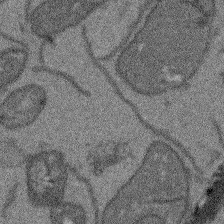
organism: Arabidopsis thaliana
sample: Root tip